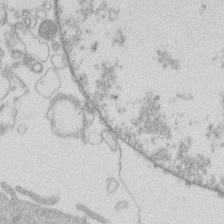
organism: Human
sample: Macrophage cells